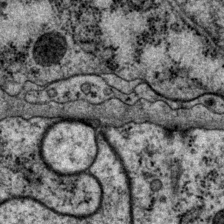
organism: P. pacificus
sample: Pharynx